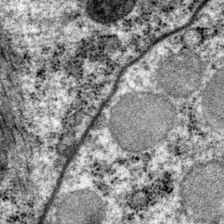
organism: P. pacificus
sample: Pharynx